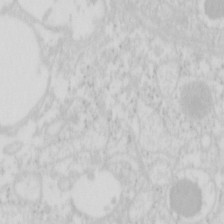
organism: Mouse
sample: Pancreas